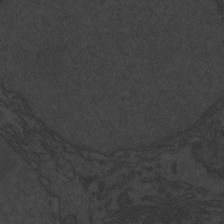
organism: Zebrafish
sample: Macrophage infected with Toxoplasma gondii